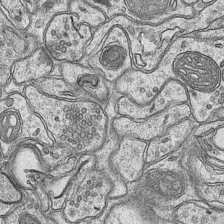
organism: Mouse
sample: CA1 Hippocampus